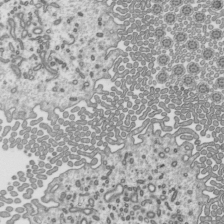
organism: Mouse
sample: Mouse epididymis efferent ductule cilia